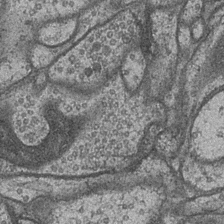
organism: Drosophila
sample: Optic medulla